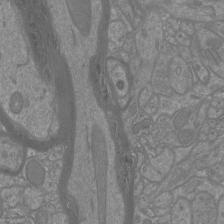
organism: Mouse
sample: Cortical neurons